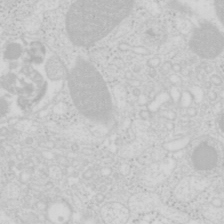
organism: Mouse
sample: Pancreas